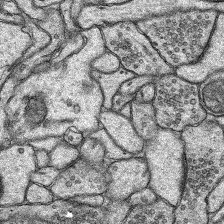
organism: Rat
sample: Hippocampus